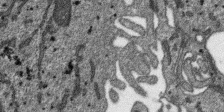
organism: Human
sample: Lung epithelial cells infected with SARS-CoV-2